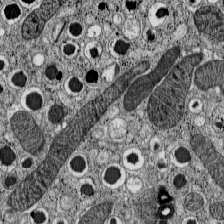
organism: C57BL Mouse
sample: Pancreatic islet